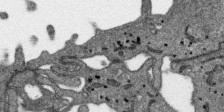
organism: Human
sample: Lung epithelial cells, uninfected (mock) control